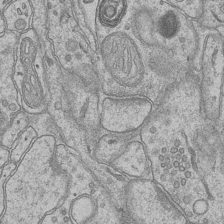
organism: Mouse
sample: CA1 Hippocampus